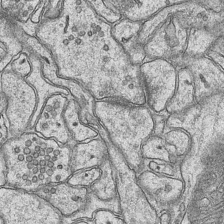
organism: Mouse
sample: CA1 Hippocampus